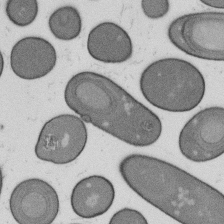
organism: B. subtilis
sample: Bacterial spore